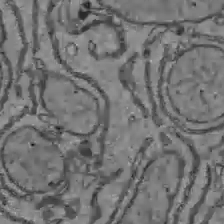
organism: C57BL Mouse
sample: Liver